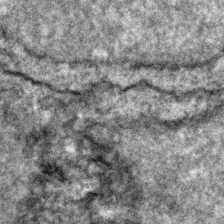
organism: Zebrafish